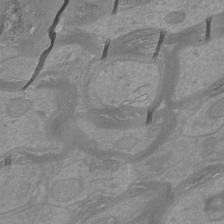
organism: Mouse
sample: Cortical neurons